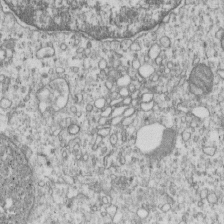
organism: Human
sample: MDA-MB-231 cells